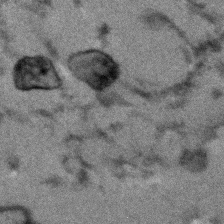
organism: Human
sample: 1205lu cells